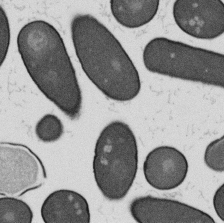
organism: B. subtilis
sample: Bacterial spore